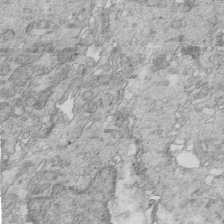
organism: Mouse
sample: Multiciliated cells